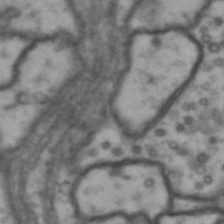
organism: Drosophila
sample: Brain